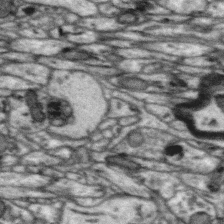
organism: Zebra finch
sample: Brain